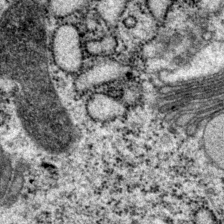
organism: P. pacificus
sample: Pharynx